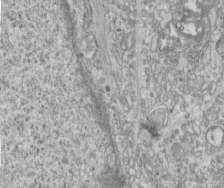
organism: Human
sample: Centriole in fibroblast cells